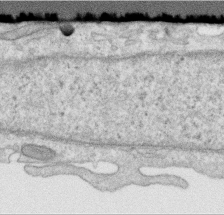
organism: Human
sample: Centriole in RPE cells